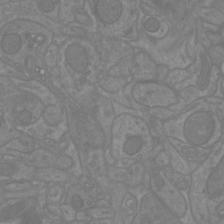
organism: Mouse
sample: Cortical neurons